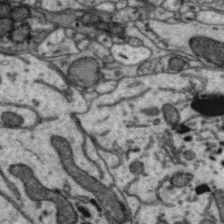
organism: Zebra finch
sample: Brain